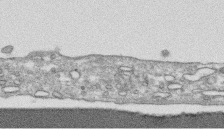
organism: Human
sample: CRL-1474